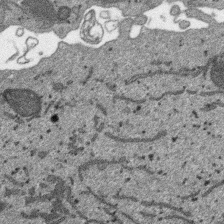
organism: Human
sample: Lung epithelial cells infected with SARS-CoV-2